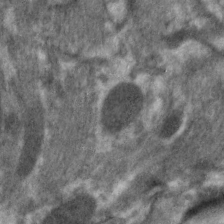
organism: C. elegans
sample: Pharynx